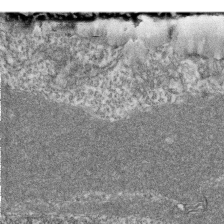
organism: Zebrafish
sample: Cilia; retinal pigment epithelium